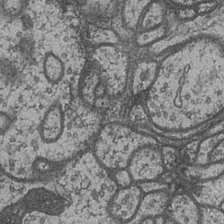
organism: Drosophila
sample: Optic medulla